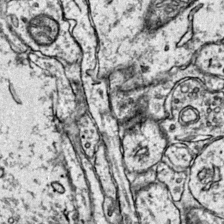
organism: Mouse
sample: Primary visual cortex